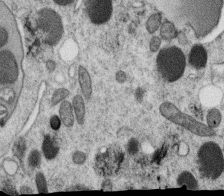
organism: C. elegans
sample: C. elegans oocyte; sperm cells